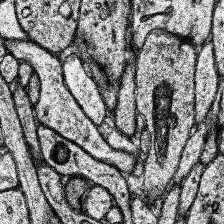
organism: Human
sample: Temporal Lobe